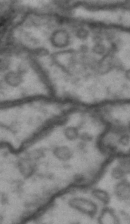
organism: Drosophila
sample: Brain